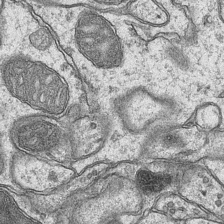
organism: Mouse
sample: CA1 Hippocampus